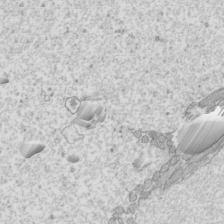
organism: Mouse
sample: Cilia; mouse epididymis